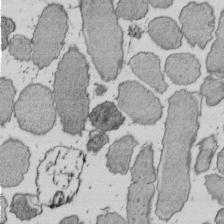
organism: E. coli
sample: Bacterial nucleoid